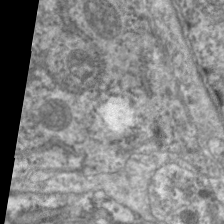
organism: C. elegans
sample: Pharynx